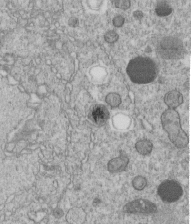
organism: C. elegans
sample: C. elegans embryo early stage